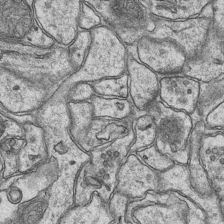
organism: Mouse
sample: CA1 Hippocampus